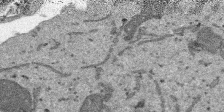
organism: Human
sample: Lung epithelial cells infected with SARS-CoV-2